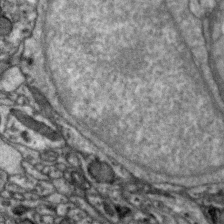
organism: Zebra finch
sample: Brain